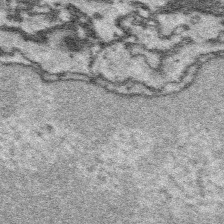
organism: Platynereis dumerilii